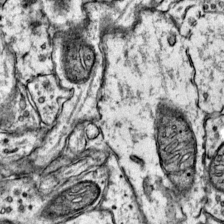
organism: Mouse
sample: Primary visual cortex